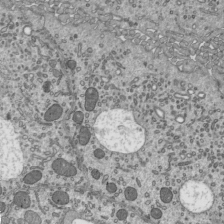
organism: Mouse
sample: Mouse epididymis efferent ductule cilia